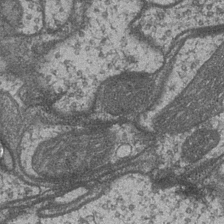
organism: Drosophila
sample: Optic medulla